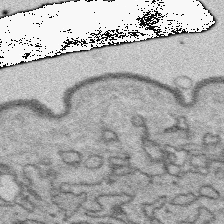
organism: Platynereis dumerilii